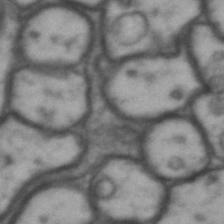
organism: Drosophila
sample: Brain